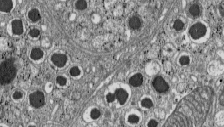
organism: C57BL Mouse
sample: Pancreatic islet